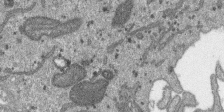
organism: Human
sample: Lung epithelial cells infected with SARS-CoV-2